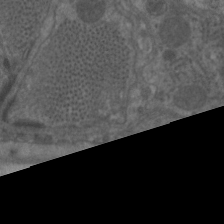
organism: C. elegans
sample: Pharynx